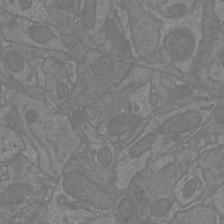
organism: Mouse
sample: Cortical neurons